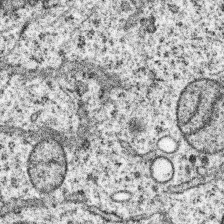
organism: Human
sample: HeLa cells